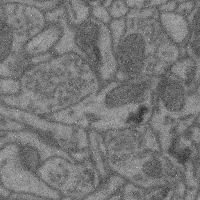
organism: Mouse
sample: Cerebral cortex